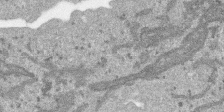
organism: Human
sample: Lung epithelial cells infected with SARS-CoV-2